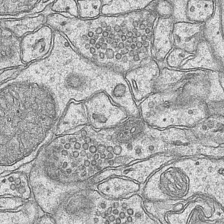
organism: Mouse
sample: CA1 Hippocampus